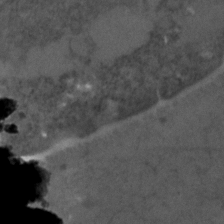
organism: C. elegans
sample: C. elegans embryo